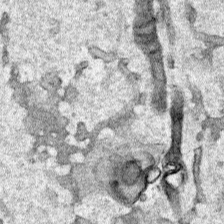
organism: Human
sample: Mitochondria in HCT116 cells